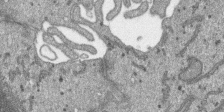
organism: Human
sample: Lung epithelial cells infected with SARS-CoV-2